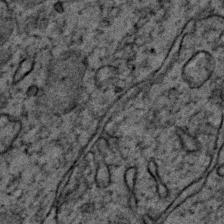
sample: Trachea